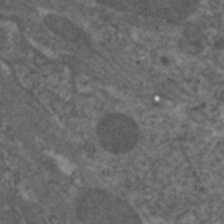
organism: C. elegans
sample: Pharynx